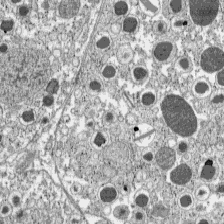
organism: C57BL Mouse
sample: Pancreatic islet